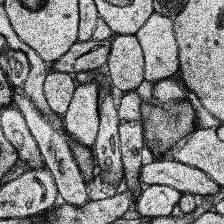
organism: Human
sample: Temporal Lobe